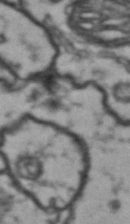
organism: Drosophila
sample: Brain